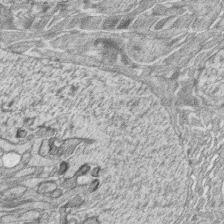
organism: Zebrafish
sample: synaptic ribbons in rod cells and cone cells